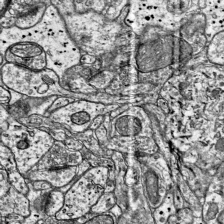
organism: Mouse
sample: Visual Cortex